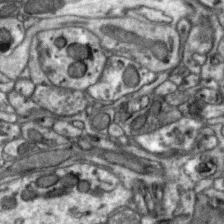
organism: Zebra finch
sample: Brain